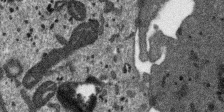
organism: Human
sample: Lung epithelial cells infected with SARS-CoV-2